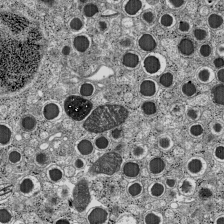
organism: C57BL Mouse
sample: Pancreatic islet